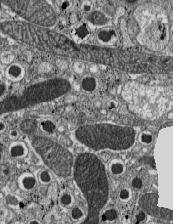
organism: C57BL Mouse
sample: Pancreatic islet